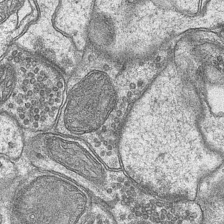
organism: Mouse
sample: CA1 Hippocampus